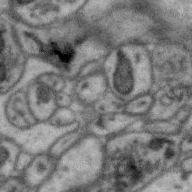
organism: Zebra finch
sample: Brain